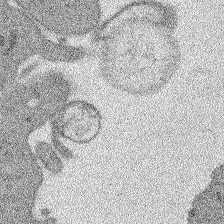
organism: Human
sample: HeLa cells